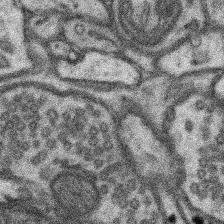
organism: Mouse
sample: Somatosensory cortex neuropil